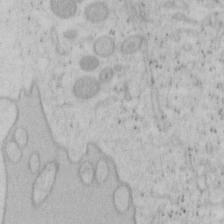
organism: Human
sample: HeLa cells